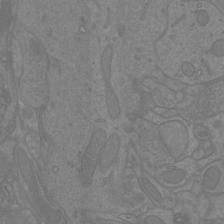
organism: Mouse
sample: Cortical neurons